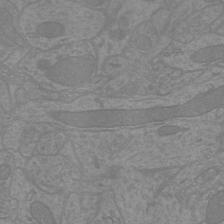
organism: Mouse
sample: Cortical neurons